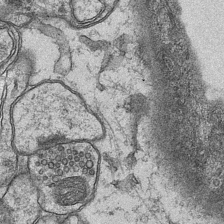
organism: Mouse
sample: CA1 Hippocampus